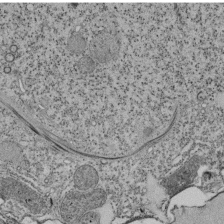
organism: Tetrahymena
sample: Cilia in tetrahymena